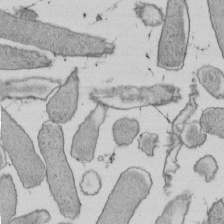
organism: E. coli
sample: Bacterial nucleoid